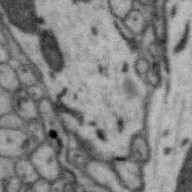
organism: Zebra finch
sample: Brain